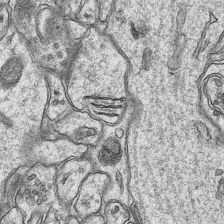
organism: Mouse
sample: CA1 Hippocampus